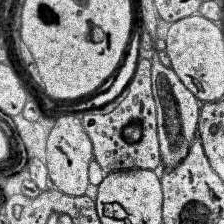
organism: Human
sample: Temporal Lobe